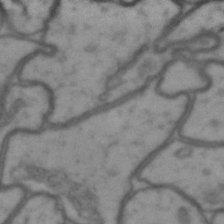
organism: Drosophila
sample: Brain